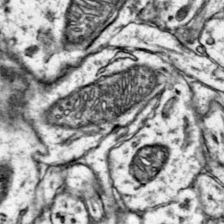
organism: Mouse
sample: Primary visual cortex